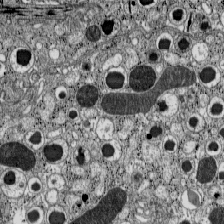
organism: C57BL Mouse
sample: Pancreatic islet